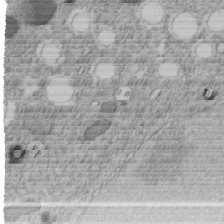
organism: C. elegans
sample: C. elegans embryo early stage